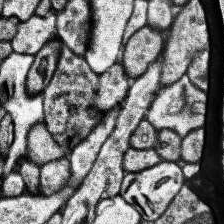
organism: Human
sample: Temporal Lobe